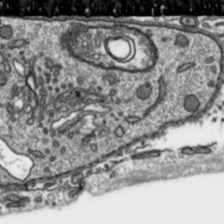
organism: Toxoplasma gondii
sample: Parasites in a vacuole inside a host cell